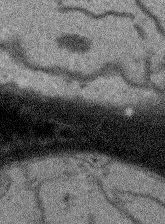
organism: Arabidopsis thaliana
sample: Root tip